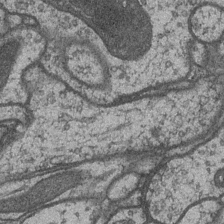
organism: Drosophila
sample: Optic medulla